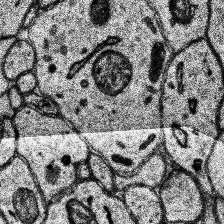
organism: Human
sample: Temporal Lobe